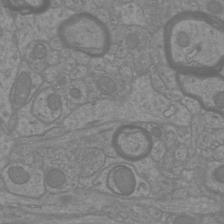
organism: Mouse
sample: Cortical neurons